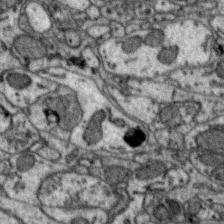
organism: Zebra finch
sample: Brain